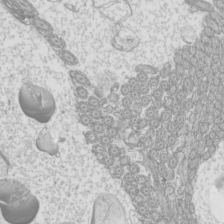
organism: Mouse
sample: Cilia; mouse epididymis